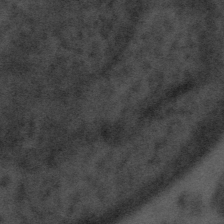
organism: Tuwongella immobilis